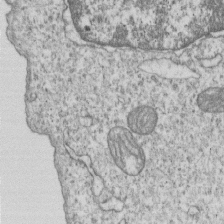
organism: Human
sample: MDA-MB-231 cells